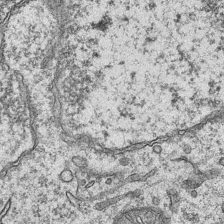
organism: Mouse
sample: CA1 Hippocampus